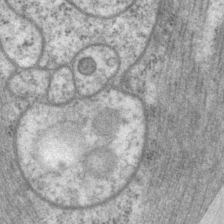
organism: P. pacificus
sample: Pharynx